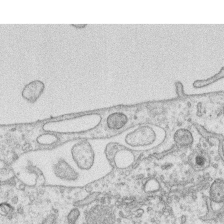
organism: Human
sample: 1205lu cells